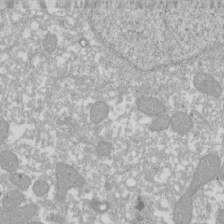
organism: Xenopus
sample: Cilia; centrioles in frog embryo cells